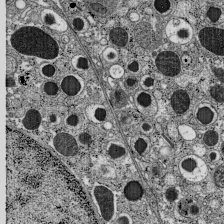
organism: C57BL Mouse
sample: Pancreatic islet